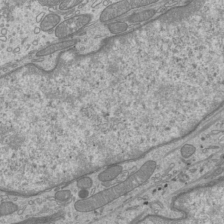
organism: Mouse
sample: Cilia; mouse epididymis